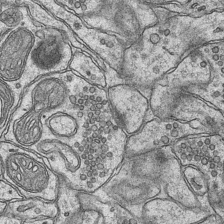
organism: Mouse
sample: CA1 Hippocampus